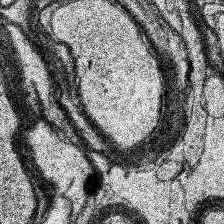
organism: Human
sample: Temporal Lobe